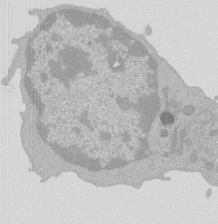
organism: Mouse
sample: Activated Pmel transgenic CD8+ T Cells